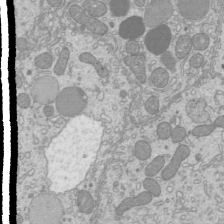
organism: Mouse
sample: Cilia; mouse epididymis